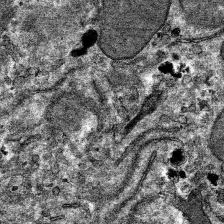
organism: Mouse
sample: Mouse hepatocytes